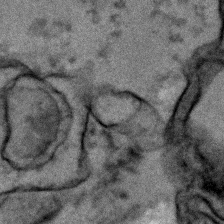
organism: Human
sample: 1205lu cells